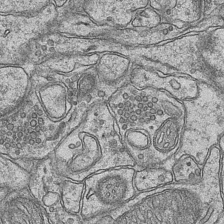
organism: Mouse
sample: CA1 Hippocampus